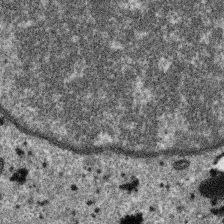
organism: Human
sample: Lung epithelial cells infected with SARS-CoV-2